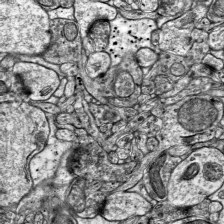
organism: Mouse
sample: Visual Cortex